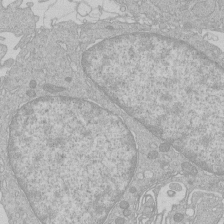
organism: Human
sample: Macrophage cells